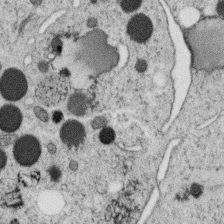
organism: C. elegans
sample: C. elegans oocyte; sperm cells